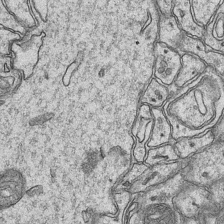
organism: Mouse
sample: CA1 Hippocampus